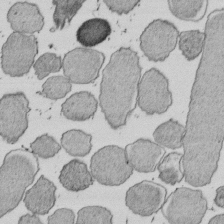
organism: E. coli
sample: Bacterial nucleoid